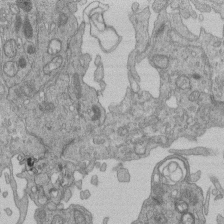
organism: Human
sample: Retinal organoid Rod and Cone cells